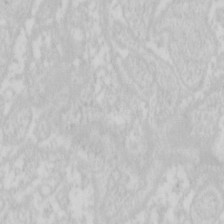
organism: Mouse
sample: Pancreas